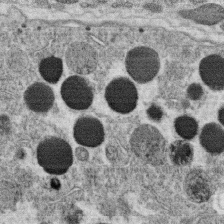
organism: C. elegans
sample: C. elegans oocyte; sperm cells